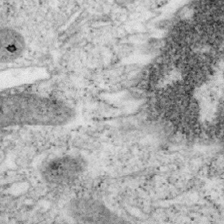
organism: Mouse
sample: OT-I killer T cells with ID8 ovarian cancer cells